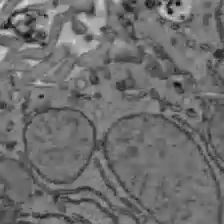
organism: C57BL Mouse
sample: Liver